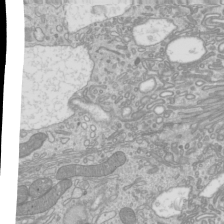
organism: Mouse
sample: Cilia; mouse epididymis